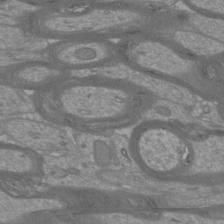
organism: Mouse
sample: Cortical neurons